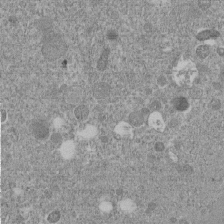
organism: C. elegans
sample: C. elegans embryo early stage